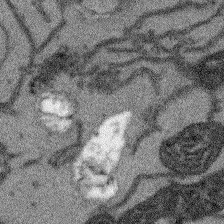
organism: Arabidopsis thaliana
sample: Root tip